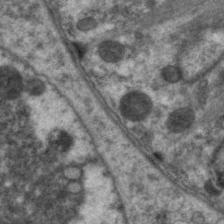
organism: C. elegans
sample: Pharynx